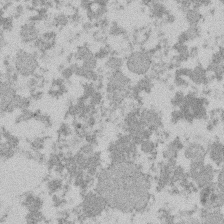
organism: Mouse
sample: Dividing mouse embryo 1 cell stage